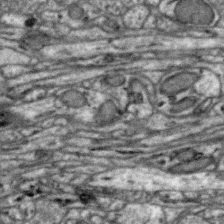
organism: Zebra finch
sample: Brain